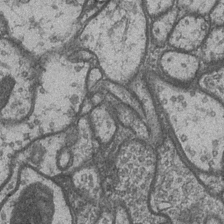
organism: Drosophila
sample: Optic medulla